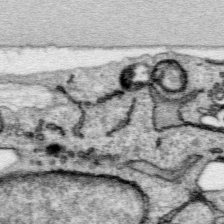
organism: Human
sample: HeLa cells